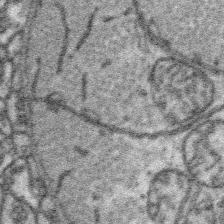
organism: Platynereis dumerilii